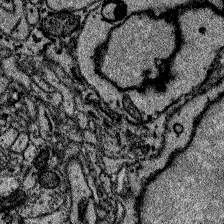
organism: Zebrafish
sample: Larval olfactory bulb